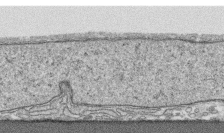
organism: Human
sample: CRL-1474